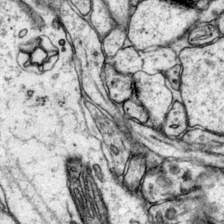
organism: Mouse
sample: Primary visual cortex